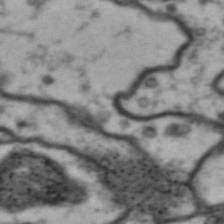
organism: Drosophila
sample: Brain